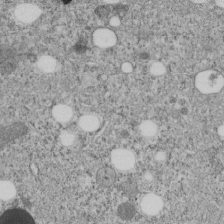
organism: C. elegans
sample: C. elegans embryo early stage